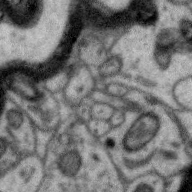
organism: Zebra finch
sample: Brain